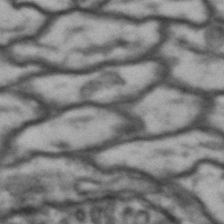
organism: Drosophila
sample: Brain